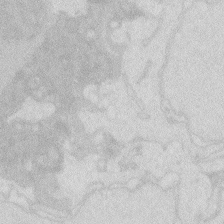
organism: Zebrafish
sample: Macrophage